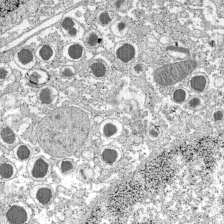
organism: C57BL Mouse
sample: Pancreatic islet